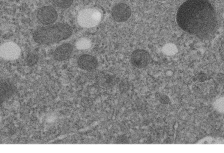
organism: C. elegans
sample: C. elegans embryo early stage